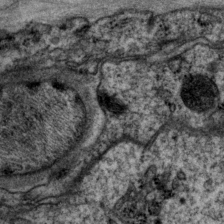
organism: P. pacificus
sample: Pharynx